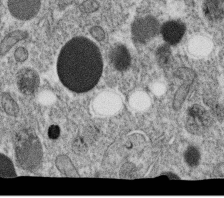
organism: C. elegans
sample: C. elegans oocyte; sperm cells